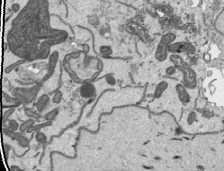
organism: Human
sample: Mitochondria in HCT116 cells